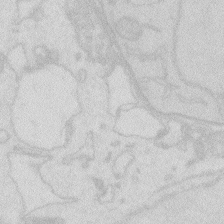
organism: Zebrafish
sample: Macrophage